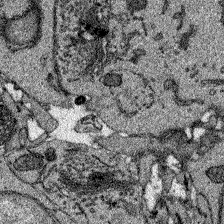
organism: Zebrafish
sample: Larval olfactory bulb